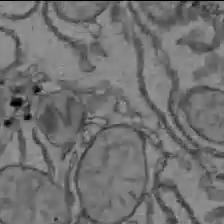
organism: C57BL Mouse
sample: Liver